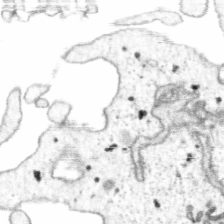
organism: Human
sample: HeLa cells